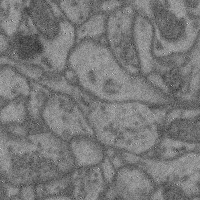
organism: Mouse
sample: Cerebral cortex